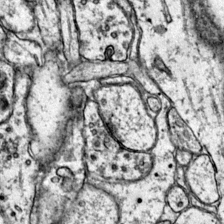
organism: Mouse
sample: Primary visual cortex